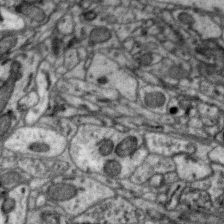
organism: Zebra finch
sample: Brain